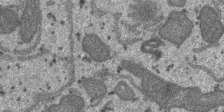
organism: Human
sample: Lung epithelial cells infected with SARS-CoV-2